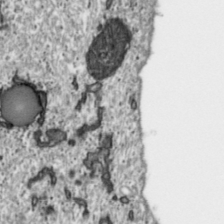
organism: Toxoplasma gondii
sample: Parasites in a vacuole inside a host cell